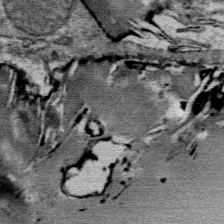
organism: Mouse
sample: Mouse Salivary gland